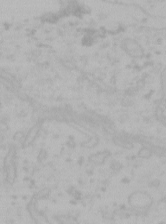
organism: Mouse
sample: Choroid plexus